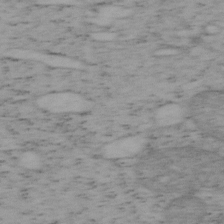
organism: Mouse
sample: OT-I killer T cells with ID8 ovarian cancer cells